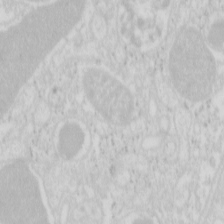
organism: Mouse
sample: Pancreas